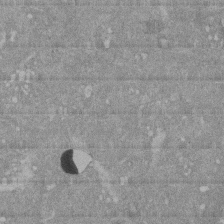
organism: Mouse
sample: ED-1 cell nuclei; centrioles